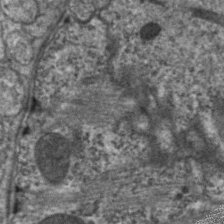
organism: C. elegans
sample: Pharynx